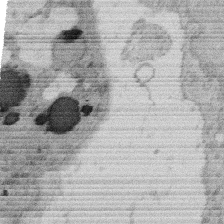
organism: Rat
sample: Salivary granule